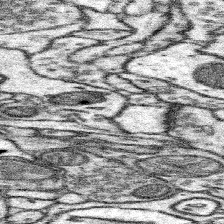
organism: Mouse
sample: Somatosensory cortex neuropil